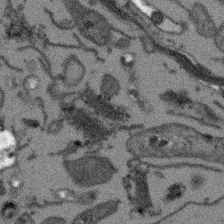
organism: Arabidopsis thaliana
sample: Root tip